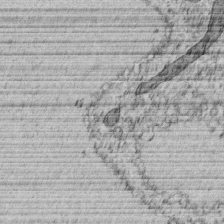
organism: C. elegans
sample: C. elegans embryo early stage